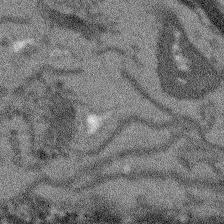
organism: Arabidopsis thaliana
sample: Root tip